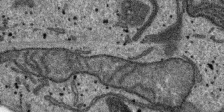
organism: Human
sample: Lung epithelial cells, uninfected (mock) control